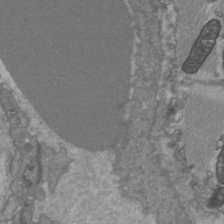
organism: C57BL Mouse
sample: Heart